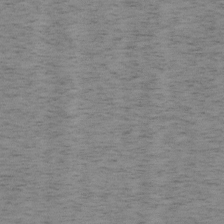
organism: Mouse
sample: OT-I killer T cells with ID8 ovarian cancer cells